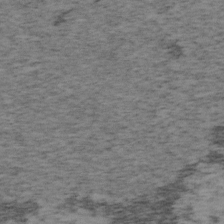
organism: Mouse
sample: OT-I killer T cells with ID8 ovarian cancer cells